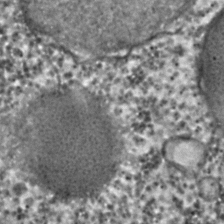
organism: C. elegans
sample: C. elegans embryo